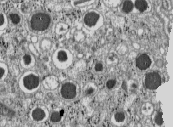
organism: C57BL Mouse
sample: Pancreatic islet